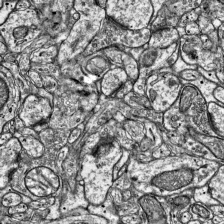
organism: Mouse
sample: Visual Cortex